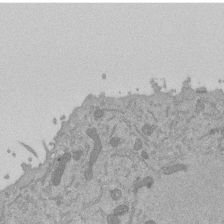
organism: Mouse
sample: ED-1 cell nuclei; centrioles